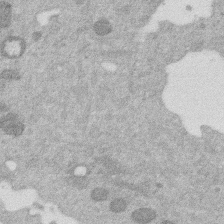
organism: Mouse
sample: Dividing mouse embryo 1 cell stage